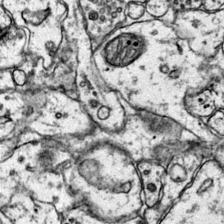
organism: Mouse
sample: Primary visual cortex